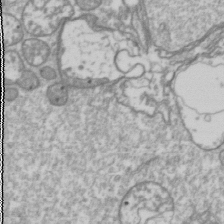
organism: Drosophila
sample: Cell division; meiosis; drosophila spermatocytes